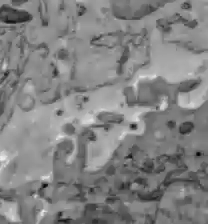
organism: C57BL Mouse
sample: Liver